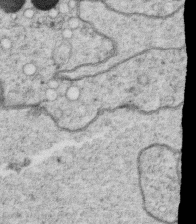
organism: C. elegans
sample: C. elegans oocyte; sperm cells